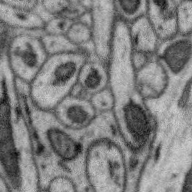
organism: Zebra finch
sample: Brain